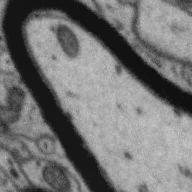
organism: Zebra finch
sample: Brain